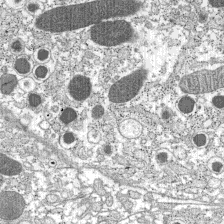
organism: C57BL Mouse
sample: Pancreatic islet